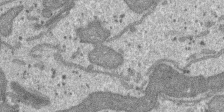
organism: Human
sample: Lung epithelial cells infected with SARS-CoV-2